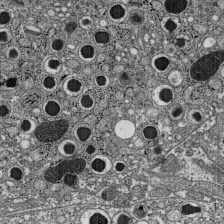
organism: C57BL Mouse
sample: Pancreatic islet